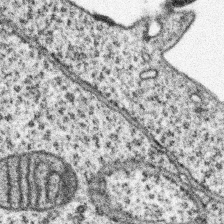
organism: Human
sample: HeLa cells